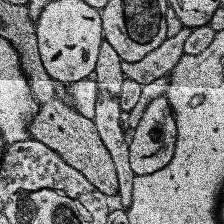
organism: Human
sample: Temporal Lobe